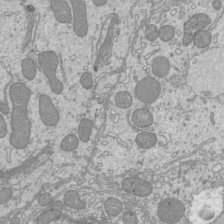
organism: Mouse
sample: Cilia; mouse epididymis